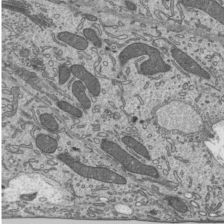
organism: Mouse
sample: Mouse epididymis efferent ductule cilia